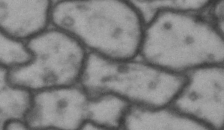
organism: Drosophila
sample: Brain